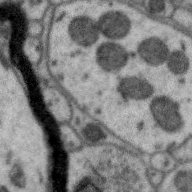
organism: Zebra finch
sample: Brain